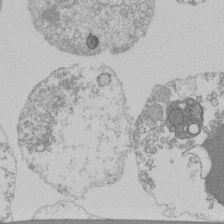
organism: Mouse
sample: Activated Pmel transgenic CD8+ T Cells